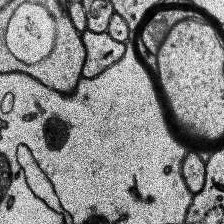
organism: Human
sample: Temporal Lobe